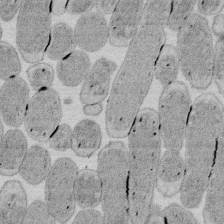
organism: E. coli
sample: Bacterial nucleoid